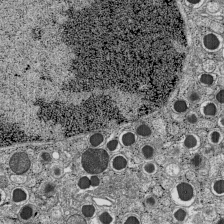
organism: C57BL Mouse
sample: Pancreatic islet